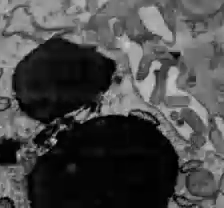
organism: C57BL Mouse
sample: Liver